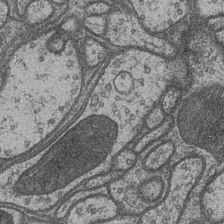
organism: Drosophila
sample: Optic medulla